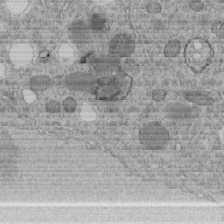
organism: C. elegans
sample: C. elegans embryo early stage